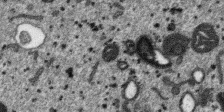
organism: Human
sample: Lung epithelial cells infected with SARS-CoV-2